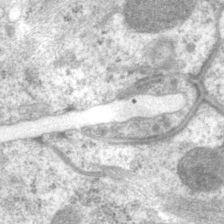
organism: P. pacificus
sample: Pharynx